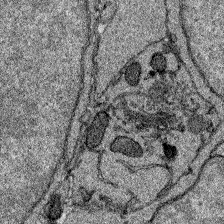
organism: Zebrafish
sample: Larval olfactory bulb